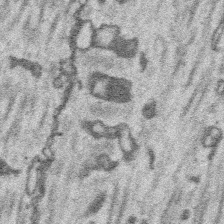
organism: Platynereis dumerilii